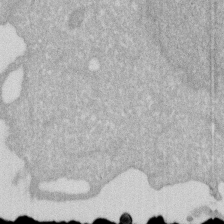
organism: Human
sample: HIV infected U937 cells